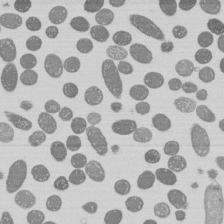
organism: E. coli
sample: Bacterial nucleoid